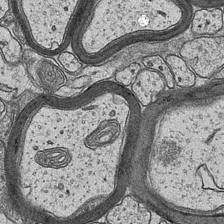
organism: Mouse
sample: CA1 Hippocampus